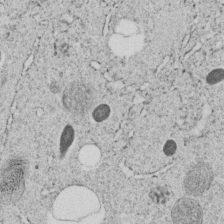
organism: C. elegans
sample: C. elegans embryo early stage